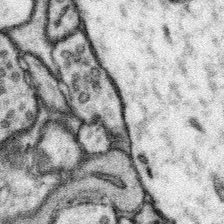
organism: Mouse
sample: Somatosensory cortex neuropil